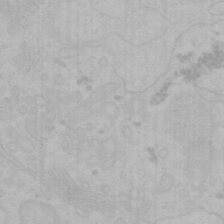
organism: Mouse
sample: Choroid plexus